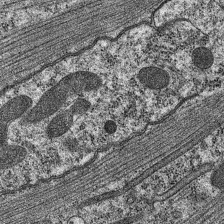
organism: C. elegans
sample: Pharynx